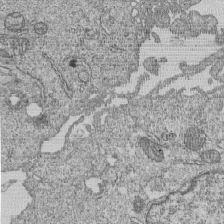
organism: Human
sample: MDA-MB-231 cells